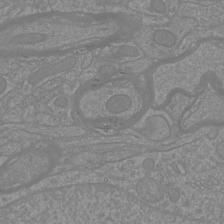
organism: Mouse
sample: Cortical neurons